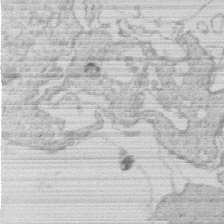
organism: Human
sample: Macrophage cells